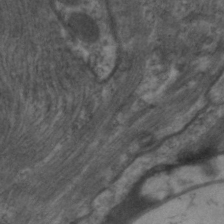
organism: C. elegans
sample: Pharynx